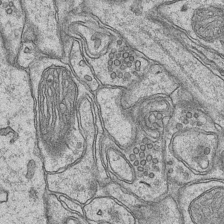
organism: Mouse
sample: CA1 Hippocampus